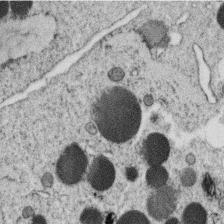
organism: C. elegans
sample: C. elegans oocyte; sperm cells